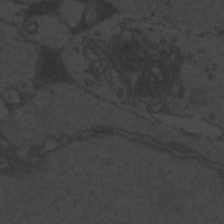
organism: Zebrafish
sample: Macrophage infected with Toxoplasma gondii